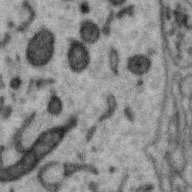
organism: Zebra finch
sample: Brain